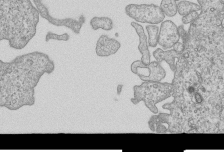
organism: Human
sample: MDA-MB-231 cells